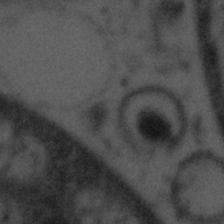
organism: Tuwongella immobilis